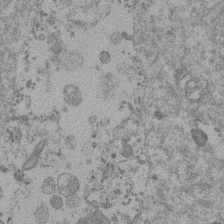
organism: Mouse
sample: Dividing mouse embryo 1 cell stage